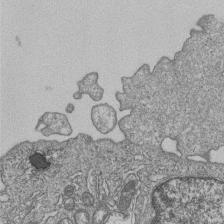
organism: Human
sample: MDA-MB-231 cells